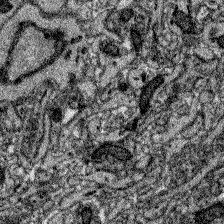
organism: Zebrafish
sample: Larval olfactory bulb